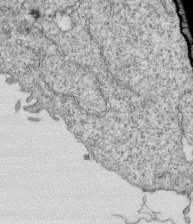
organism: Human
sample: HeLa cell HIV synapse